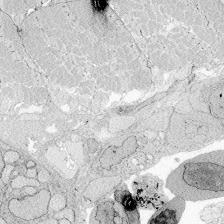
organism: Zebrafish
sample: Whole-Brain